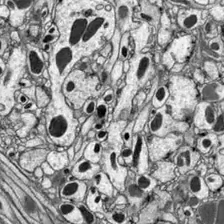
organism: Drosophila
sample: Optic lobe